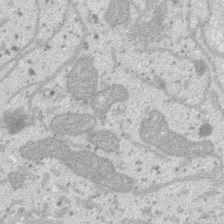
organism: Human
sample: Lung epithelial cells infected with SARS-CoV-2